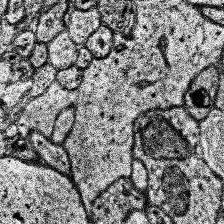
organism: Human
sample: Temporal Lobe